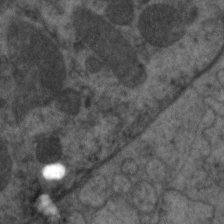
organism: C. elegans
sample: Pharynx